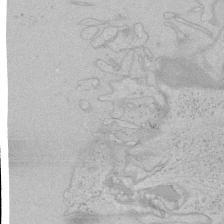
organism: Human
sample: Mitochondria in HCT116 cells